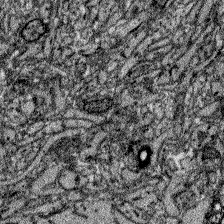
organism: Zebrafish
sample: Larval olfactory bulb